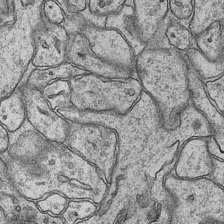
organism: Mouse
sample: CA1 Hippocampus